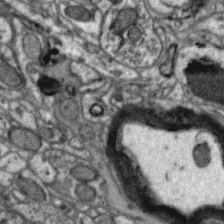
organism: Zebra finch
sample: Brain